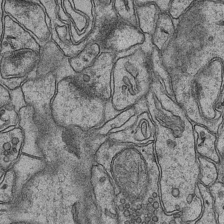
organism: Mouse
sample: CA1 Hippocampus